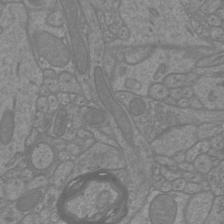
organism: Mouse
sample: Cortical neurons